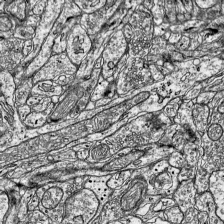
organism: Mouse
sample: Visual Cortex